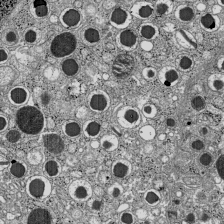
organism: C57BL Mouse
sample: Pancreatic islet